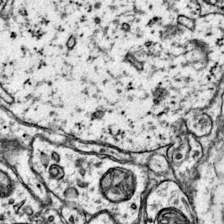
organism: Mouse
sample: Primary visual cortex